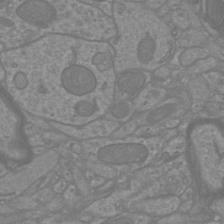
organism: Mouse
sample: Cortical neurons